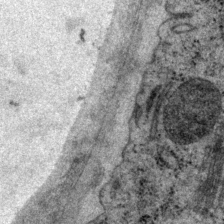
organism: P. pacificus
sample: Pharynx